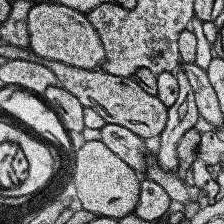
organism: Human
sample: Temporal Lobe